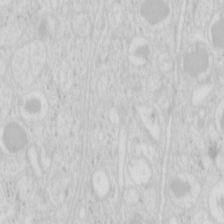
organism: Mouse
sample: Pancreas